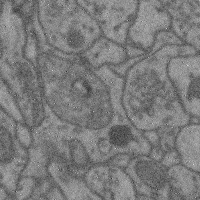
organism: Mouse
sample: Cerebral cortex